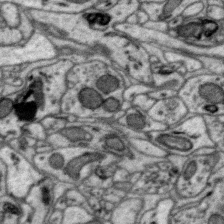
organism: Zebra finch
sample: Brain